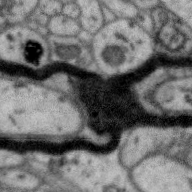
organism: Zebra finch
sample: Brain